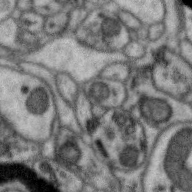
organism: Zebra finch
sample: Brain